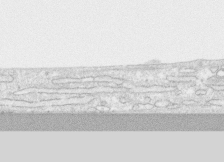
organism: Human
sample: CRL-1474